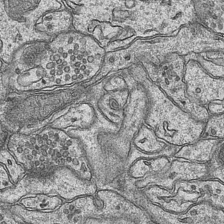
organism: Mouse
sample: CA1 Hippocampus